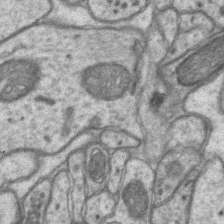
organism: Mouse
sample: CA1 Hippocampus